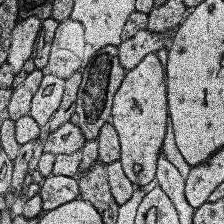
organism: Human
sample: Temporal Lobe